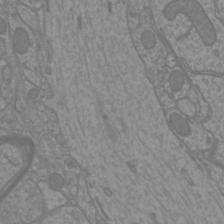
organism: Mouse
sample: Cortical neurons